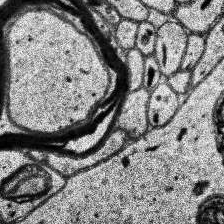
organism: Human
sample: Temporal Lobe